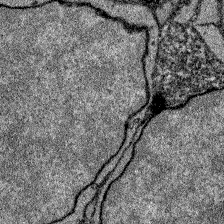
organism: Zebrafish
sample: Larval olfactory bulb